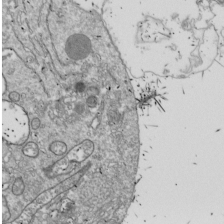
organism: Drosophila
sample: Cell division; meiosis; drosophila spermatocytes